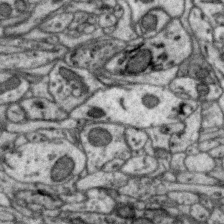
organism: Zebra finch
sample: Brain